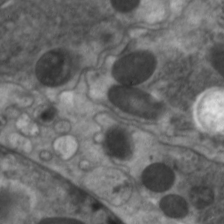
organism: C. elegans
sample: Pharynx